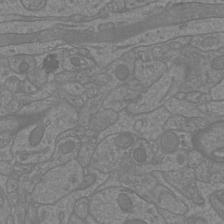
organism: Mouse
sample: Cortical neurons